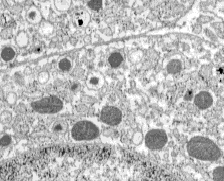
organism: C57BL Mouse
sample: Pancreatic islet